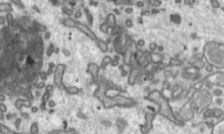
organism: Toxoplasma gondii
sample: Parasites in a vacuole inside a host cell